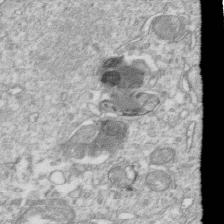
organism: Mouse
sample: Activated OT-1 CD8+ T cells